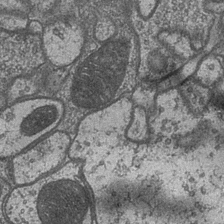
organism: Drosophila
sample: Optic medulla